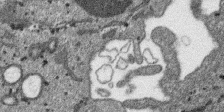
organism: Human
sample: Lung epithelial cells infected with SARS-CoV-2